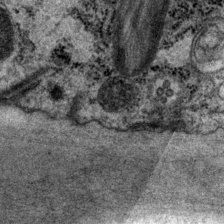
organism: P. pacificus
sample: Pharynx